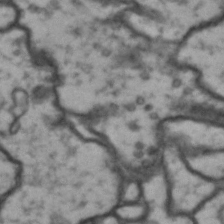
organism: Drosophila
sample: Brain